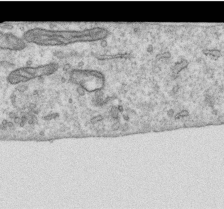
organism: Human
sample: Centriole in RPE cells